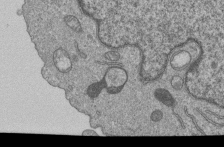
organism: Human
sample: MDA-MB-231 cells